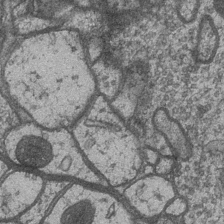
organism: Drosophila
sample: Optic medulla